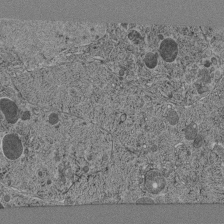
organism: C. elegans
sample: C. elegans pharynx